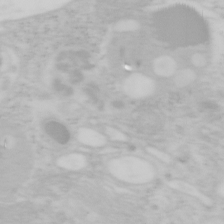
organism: Mouse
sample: OT-I killer T cells with ID8 ovarian cancer cells